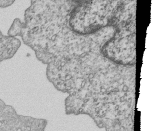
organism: Human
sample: MDA-MB-231 cells